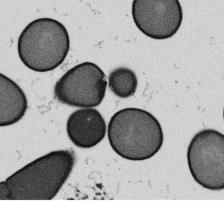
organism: B. subtilis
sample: Bacterial spore